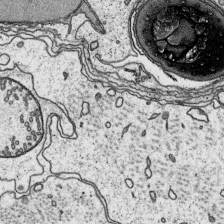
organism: Platynereis dumerilii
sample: Parapodia